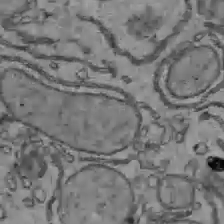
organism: C57BL Mouse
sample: Liver